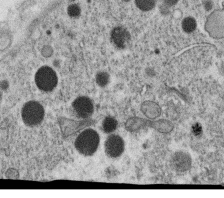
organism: C. elegans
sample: C. elegans oocyte; sperm cells